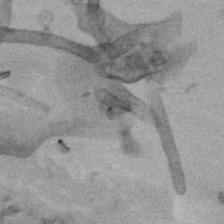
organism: Human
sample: Mitochondria in HCT116 cells